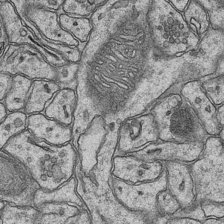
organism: Mouse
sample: CA1 Hippocampus